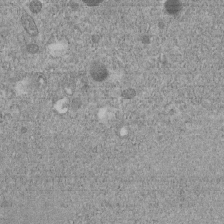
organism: C. elegans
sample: C. elegans embryo early stage